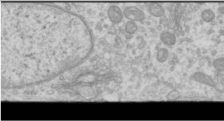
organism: Human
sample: Cilia; basal body in RPE cells